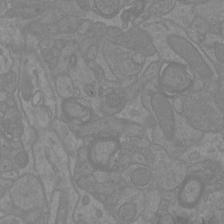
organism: Mouse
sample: Cortical neurons